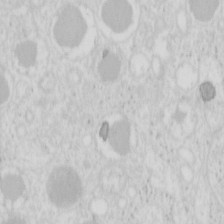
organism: Mouse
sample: Pancreas